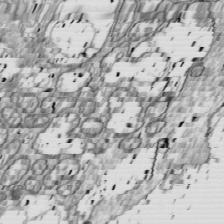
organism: Drosophila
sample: Cell division; meiosis; drosophila spermatocytes